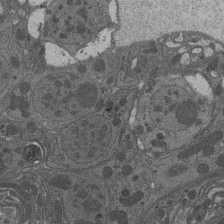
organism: Drosophila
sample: Antenna